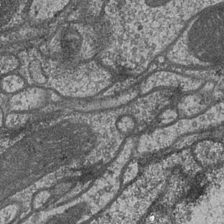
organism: Drosophila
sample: Optic medulla